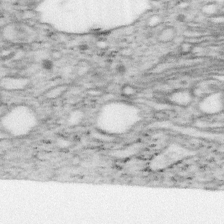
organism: Mouse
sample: OT-I killer T cells with ID8 ovarian cancer cells